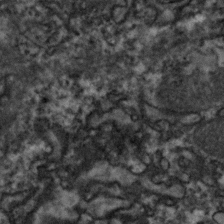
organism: Zebrafish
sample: Zebrafish embryo